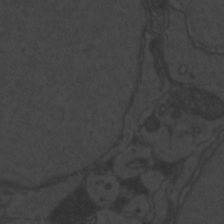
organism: Zebrafish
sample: Macrophage infected with Toxoplasma gondii